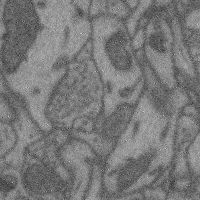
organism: Mouse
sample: Cerebral cortex